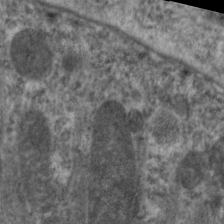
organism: C. elegans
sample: Pharynx